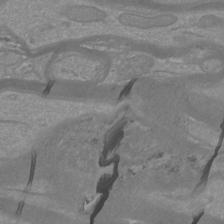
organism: Mouse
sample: Cortical neurons